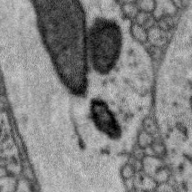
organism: Zebra finch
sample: Brain